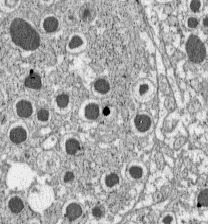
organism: C57BL Mouse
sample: Pancreatic islet